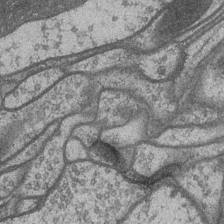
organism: Drosophila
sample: Optic medulla